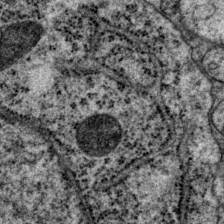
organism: P. pacificus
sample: Pharynx